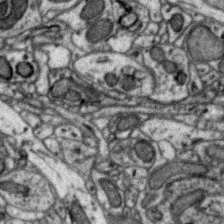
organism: Zebra finch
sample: Brain